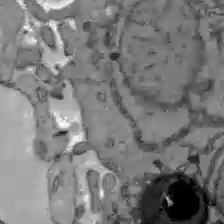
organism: C57BL Mouse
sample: Liver